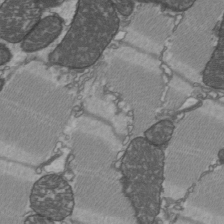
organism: C57BL Mouse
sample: Heart